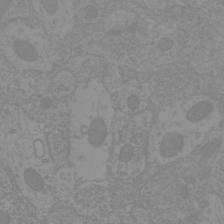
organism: Mouse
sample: Cortical neurons